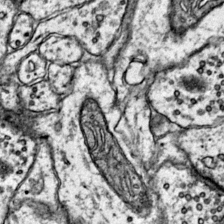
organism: Mouse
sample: Primary visual cortex